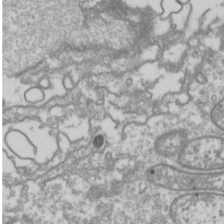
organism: Drosophila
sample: Cell division; meiosis; drosophila spermatocytes